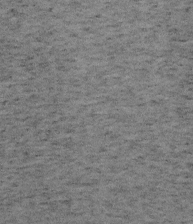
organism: Mouse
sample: OT-I killer T cells with ID8 ovarian cancer cells